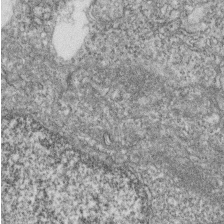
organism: Zebrafish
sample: Cilia; retinal pigment epithelium